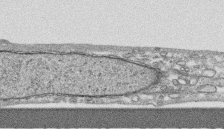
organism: Human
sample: CRL-1474